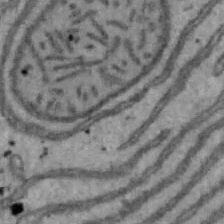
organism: Mouse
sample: Liver